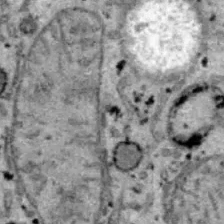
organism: Mouse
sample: Liver from an obese (ob/ob) mouse